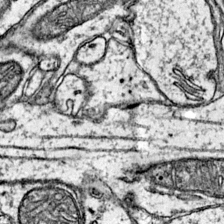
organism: Mouse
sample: Primary visual cortex